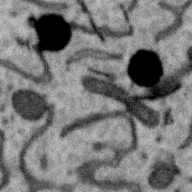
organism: Zebra finch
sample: Brain